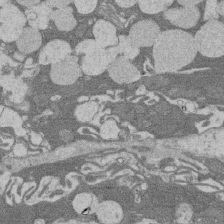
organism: Rat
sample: Salivary granule